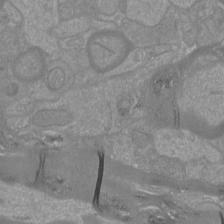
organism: Mouse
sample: Cortical neurons